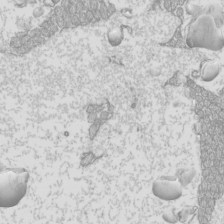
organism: Mouse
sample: Cilia; mouse epididymis